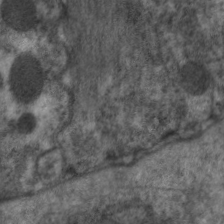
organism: C. elegans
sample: Pharynx